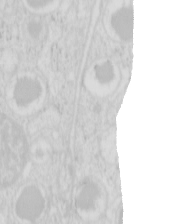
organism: Mouse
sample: Pancreas